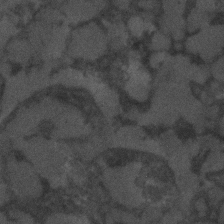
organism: C. elegans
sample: C. elegans embryo